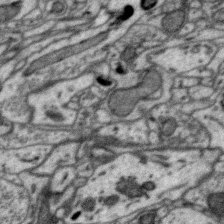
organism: Zebra finch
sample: Brain